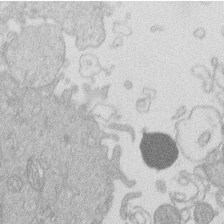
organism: Human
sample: Macrophage cells